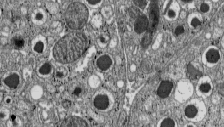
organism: C57BL Mouse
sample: Pancreatic islet